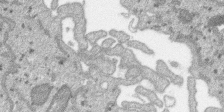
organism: Human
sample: Lung epithelial cells infected with SARS-CoV-2